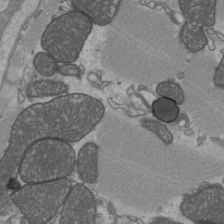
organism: C57BL Mouse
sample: Heart